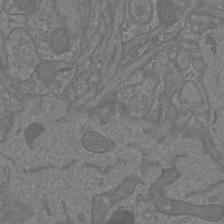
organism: Mouse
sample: Cortical neurons